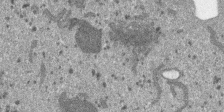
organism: Human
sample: Lung epithelial cells infected with SARS-CoV-2